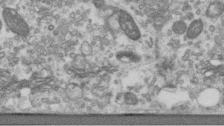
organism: Human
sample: Centriole in RPE cells